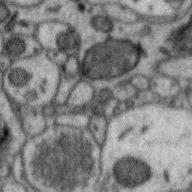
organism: Zebra finch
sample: Brain